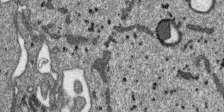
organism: Human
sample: Lung epithelial cells infected with SARS-CoV-2